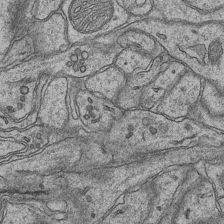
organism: Mouse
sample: CA1 Hippocampus